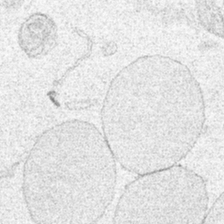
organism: Human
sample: Mitochondria in HCT116 cells